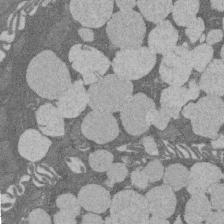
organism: Rat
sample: Salivary granule